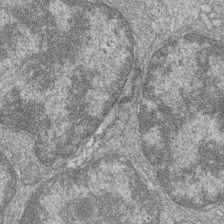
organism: Zebrafish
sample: Cilia; retinal pigment epithelium